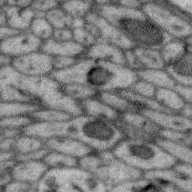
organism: Zebra finch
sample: Brain